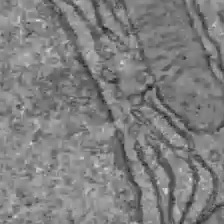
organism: C57BL Mouse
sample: Liver